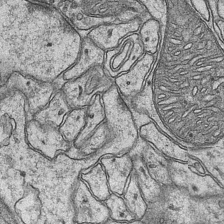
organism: Mouse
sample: CA1 Hippocampus